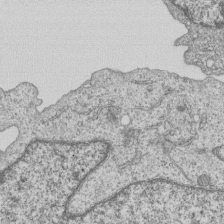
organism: Human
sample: MDA-MB-231 cells